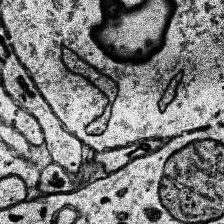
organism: Human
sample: Temporal Lobe